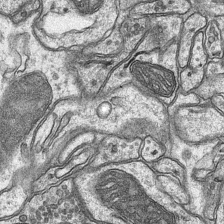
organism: Mouse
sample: CA1 Hippocampus